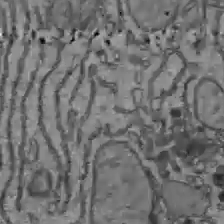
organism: C57BL Mouse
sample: Liver